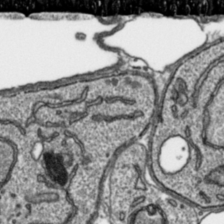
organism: Toxoplasma gondii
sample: Parasites in a vacuole inside a host cell